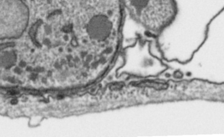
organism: Toxoplasma gondii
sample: Parasites in a vacuole inside a host cell